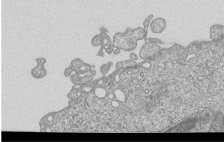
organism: Human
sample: MDA-MB-231 cells